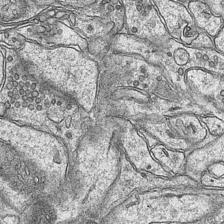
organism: Mouse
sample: CA1 Hippocampus